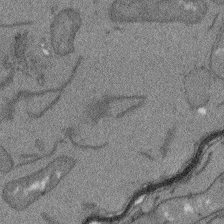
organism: Arabidopsis thaliana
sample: Root tip